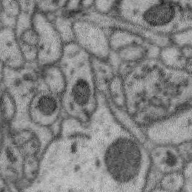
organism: Zebra finch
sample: Brain